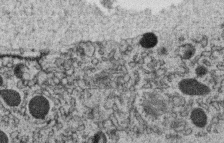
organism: C. elegans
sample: C. elegans oocyte; sperm cells